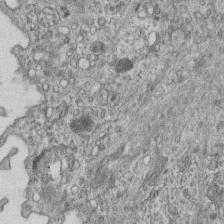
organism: Mouse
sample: Centriole in ependymal cells